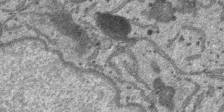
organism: Human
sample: Lung epithelial cells infected with SARS-CoV-2